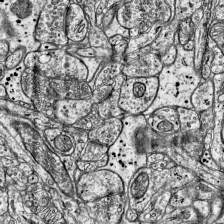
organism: Mouse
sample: Visual Cortex